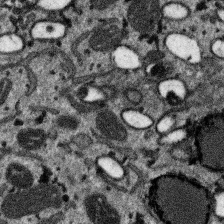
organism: Human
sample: Lung epithelial cells infected with SARS-CoV-2